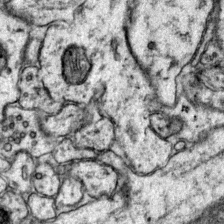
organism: Mouse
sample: Primary visual cortex